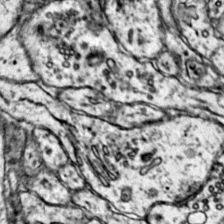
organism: Mouse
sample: Primary visual cortex